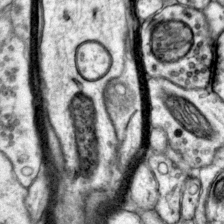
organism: Mouse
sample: Primary visual cortex